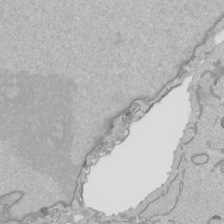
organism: Human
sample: Mitochondria in HCT116 cells